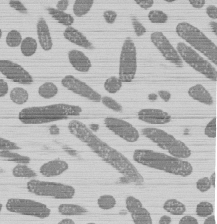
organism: E. coli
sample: Bacterial nucleoid